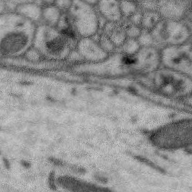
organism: Zebra finch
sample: Brain